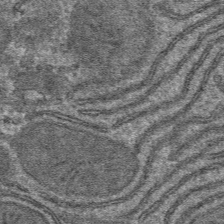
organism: Mouse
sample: Mouse hepatocytes